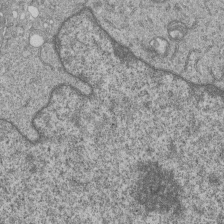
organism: Human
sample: MDA-MB-231 cells